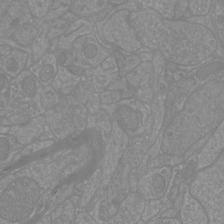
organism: Mouse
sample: Cortical neurons